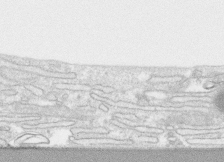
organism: Human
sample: CRL-1474